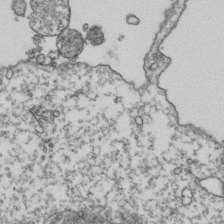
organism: Human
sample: Activated Jurkat CD4+ T cells